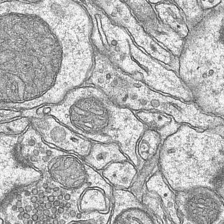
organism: Mouse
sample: CA1 Hippocampus